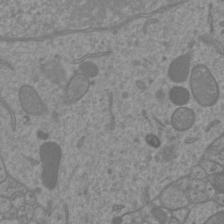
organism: Mouse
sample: Cortical neurons